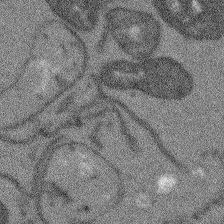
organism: Arabidopsis thaliana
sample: Root tip